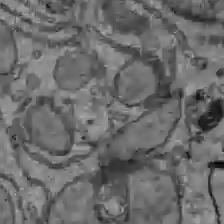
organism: C57BL Mouse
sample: Liver